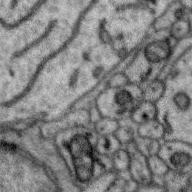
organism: Zebra finch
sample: Brain